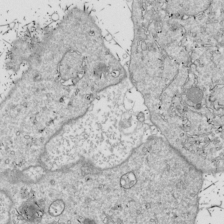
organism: Drosophila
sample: Cell division; meiosis; drosophila spermatocytes